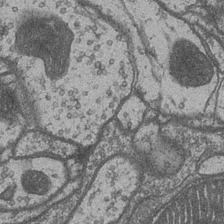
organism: Drosophila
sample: Optic medulla